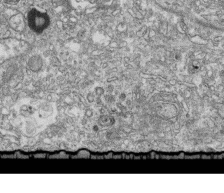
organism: Human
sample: HeLa cell HIV synapse